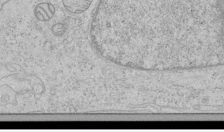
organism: Human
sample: Mitochondria in HCT116 cells